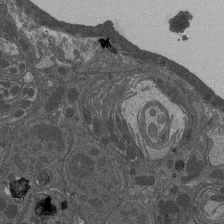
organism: Drosophila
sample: Antenna